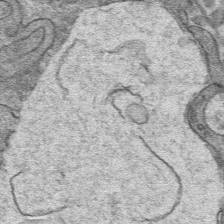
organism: Mouse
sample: Mouse hepatocytes